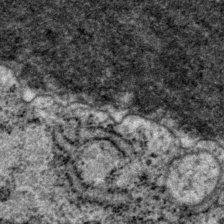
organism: P. pacificus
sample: Pharynx